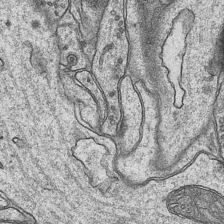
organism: Mouse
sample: CA1 Hippocampus